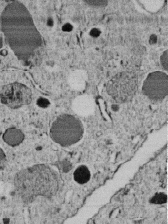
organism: C. elegans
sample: C. elegans embryo early stage